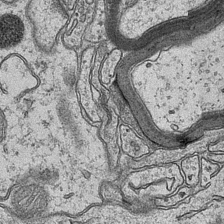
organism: Mouse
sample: CA1 Hippocampus